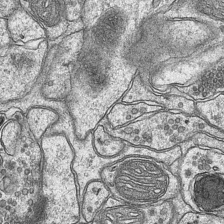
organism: Mouse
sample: CA1 Hippocampus